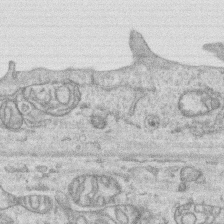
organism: Human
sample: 1205lu cells